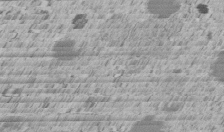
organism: C. elegans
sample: C. elegans embryo early stage